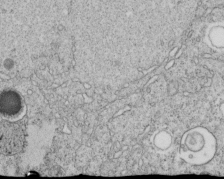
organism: C. elegans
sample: C. elegans embryo early stage